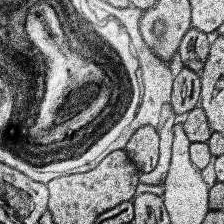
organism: Human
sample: Temporal Lobe